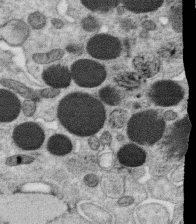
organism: C. elegans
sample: C. elegans oocyte; sperm cells